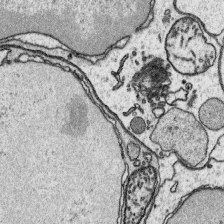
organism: Platynereis dumerilii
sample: Parapodia